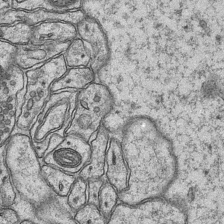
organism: Mouse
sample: CA1 Hippocampus